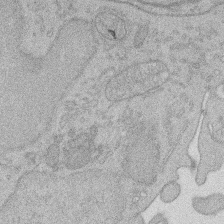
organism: Rat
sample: Salivary granule